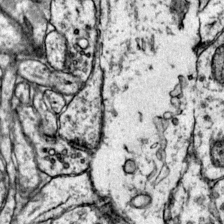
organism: Mouse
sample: Primary visual cortex